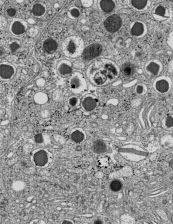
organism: C57BL Mouse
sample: Pancreatic islet